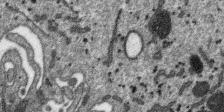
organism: Human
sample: Lung epithelial cells infected with SARS-CoV-2